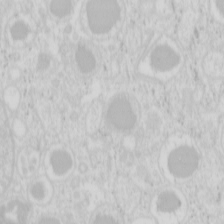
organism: Mouse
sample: Pancreas